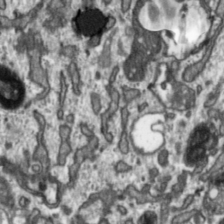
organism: Toxoplasma gondii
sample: Parasites in a vacuole inside a host cell